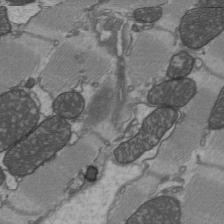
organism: C57BL Mouse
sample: Heart